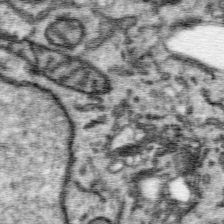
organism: Human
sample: HeLa cells